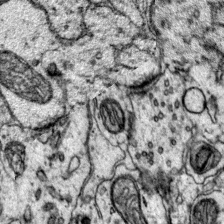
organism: Mouse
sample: Primary visual cortex